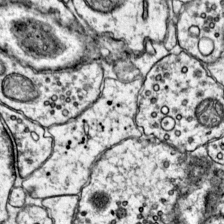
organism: Mouse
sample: Primary visual cortex